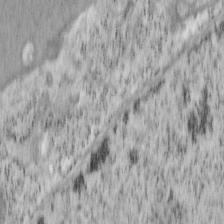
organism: Human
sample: HeLa cells